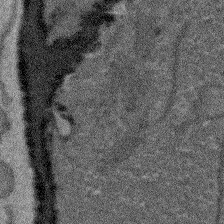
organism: Arabidopsis thaliana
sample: Root tip